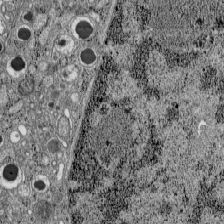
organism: C57BL Mouse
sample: Pancreatic islet